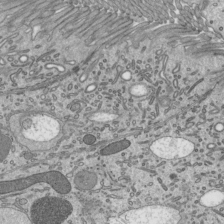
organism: Mouse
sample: Mouse epididymis efferent ductule cilia